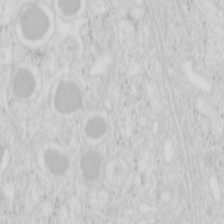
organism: Mouse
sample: Pancreas